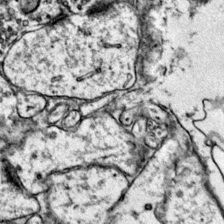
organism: Mouse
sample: Primary visual cortex